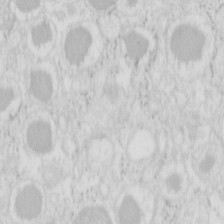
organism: Mouse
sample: Pancreas